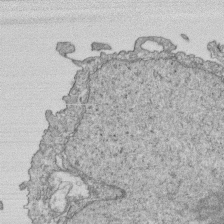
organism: Human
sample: HeLa cell HIV synapse